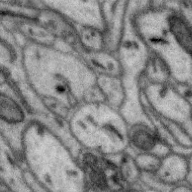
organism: Zebra finch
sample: Brain